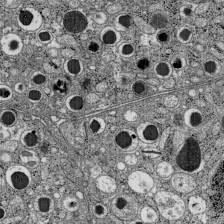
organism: C57BL Mouse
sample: Pancreatic islet